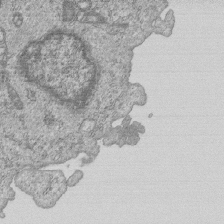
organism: Human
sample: MDA-MB-231 cells